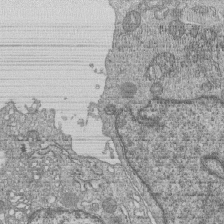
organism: Human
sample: MDA-MB-231 cells